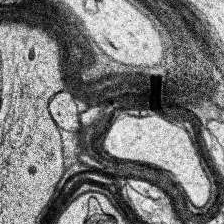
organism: Human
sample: Temporal Lobe